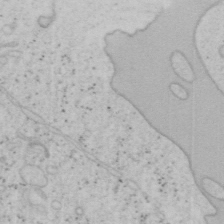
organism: Human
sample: HeLa cells